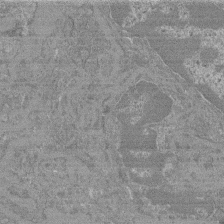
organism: Mouse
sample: Glomerulus